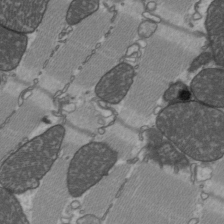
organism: C57BL Mouse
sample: Heart